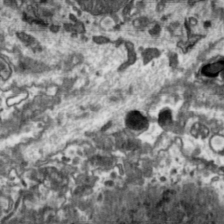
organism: Toxoplasma gondii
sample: Parasites in a vacuole inside a host cell